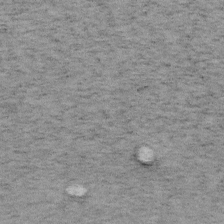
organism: Mouse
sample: OT-I killer T cells with ID8 ovarian cancer cells